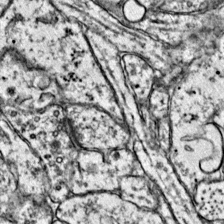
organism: Mouse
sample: Primary visual cortex